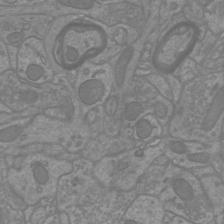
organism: Mouse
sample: Cortical neurons